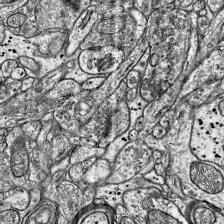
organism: Mouse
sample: Visual Cortex